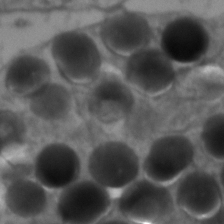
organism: Zebrafish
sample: Zebrafish embryo